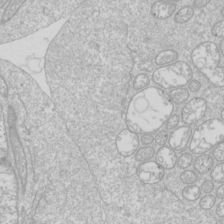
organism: Drosophila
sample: Cell division; meiosis; drosophila spermatocytes